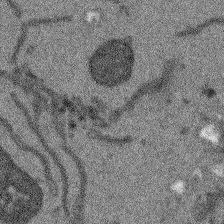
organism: Arabidopsis thaliana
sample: Root tip